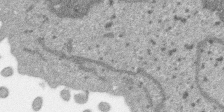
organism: Human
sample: Lung epithelial cells infected with SARS-CoV-2